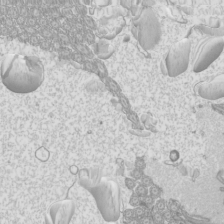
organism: Mouse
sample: Cilia; mouse epididymis